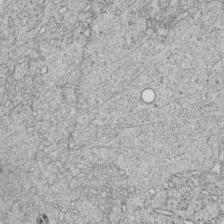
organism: C. elegans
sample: C. elegans embryo early stage